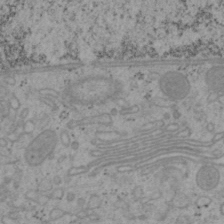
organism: Human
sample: HeLa cells